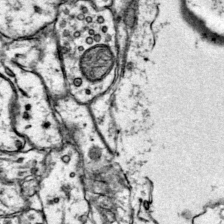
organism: Mouse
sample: Primary visual cortex